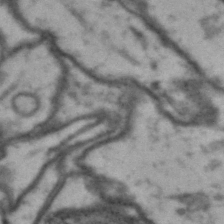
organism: Drosophila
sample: Brain